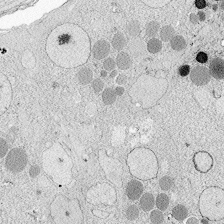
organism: Zebrafish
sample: Whole-Brain